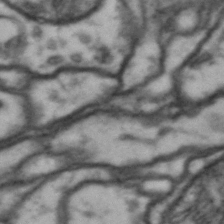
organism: Drosophila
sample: Brain